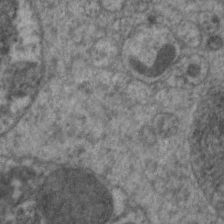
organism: C. elegans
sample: Pharynx